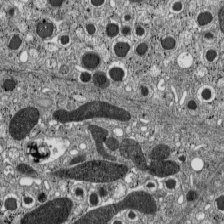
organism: C57BL Mouse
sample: Pancreatic islet